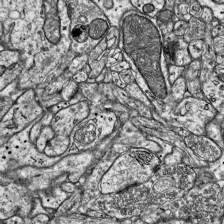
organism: Mouse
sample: Visual Cortex